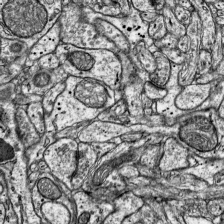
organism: Mouse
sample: Visual Cortex